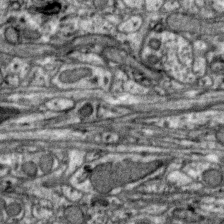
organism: Zebra finch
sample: Brain